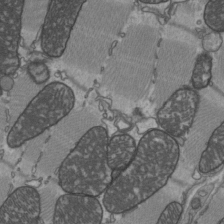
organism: C57BL Mouse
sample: Heart